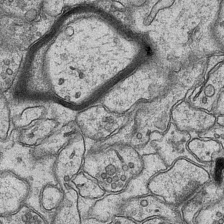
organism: Mouse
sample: CA1 Hippocampus